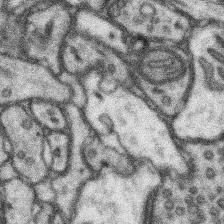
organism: Mouse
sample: Somatosensory cortex neuropil